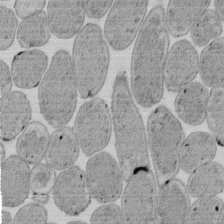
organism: E. coli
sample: Bacterial nucleoid